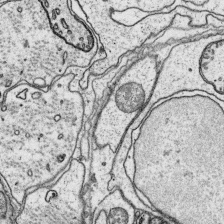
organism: Platynereis dumerilii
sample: Parapodia